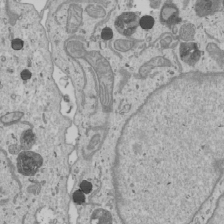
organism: Human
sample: Mitochondria in U2OS cells